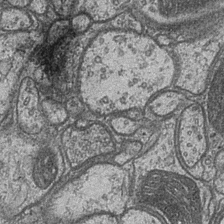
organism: Drosophila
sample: Optic medulla